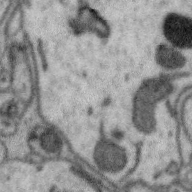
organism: Zebra finch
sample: Brain